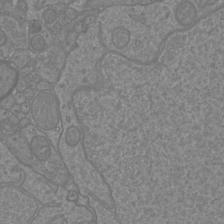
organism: Mouse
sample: Cortical neurons